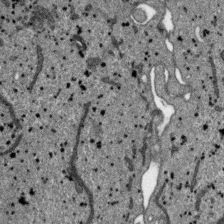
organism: Human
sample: Lung epithelial cells, uninfected (mock) control